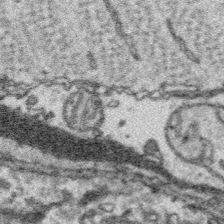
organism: Platynereis dumerilii